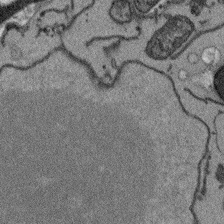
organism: Arabidopsis thaliana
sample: Root tip